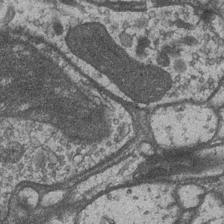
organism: Drosophila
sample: Optic medulla